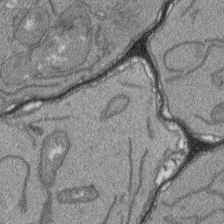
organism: Arabidopsis thaliana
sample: Root tip